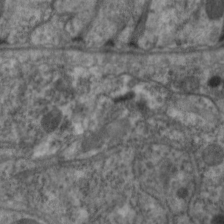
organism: C. elegans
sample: Pharynx